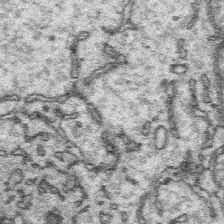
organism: Platynereis dumerilii